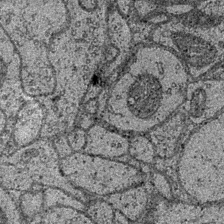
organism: Drosophila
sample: Optic medulla